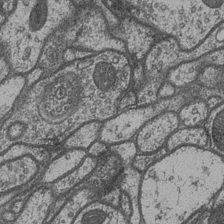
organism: Drosophila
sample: Optic medulla